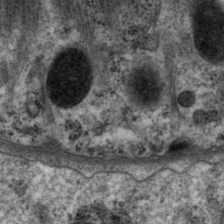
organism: P. pacificus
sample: Pharynx